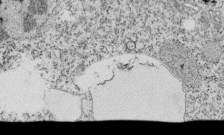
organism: Tetrahymena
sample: Cilia in tetrahymena